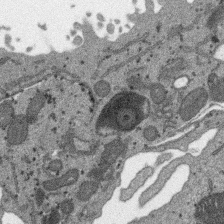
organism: Human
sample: Lung epithelial cells infected with SARS-CoV-2